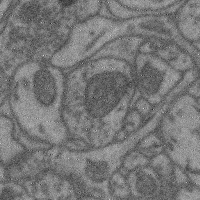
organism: Mouse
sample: Cerebral cortex